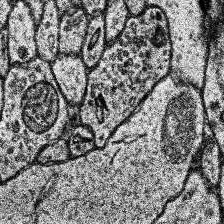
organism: Human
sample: Temporal Lobe